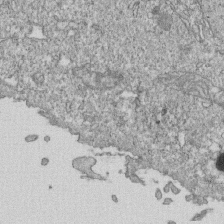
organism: Human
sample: HeLa cell HIV synapse